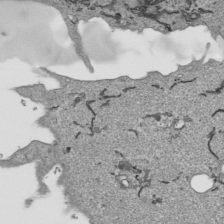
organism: Human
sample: Mitochondria in HCT116 cells